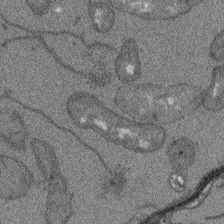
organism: Arabidopsis thaliana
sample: Root tip